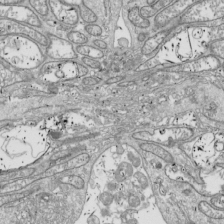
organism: Drosophila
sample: Cell division; meiosis; drosophila spermatocytes